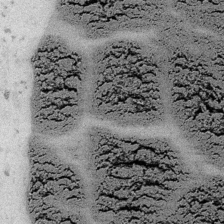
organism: Embia sp.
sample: Silk gland